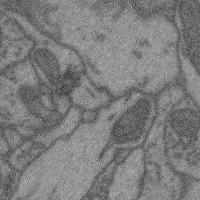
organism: Mouse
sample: Cerebral cortex